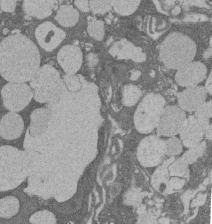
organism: Rat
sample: Salivary granule